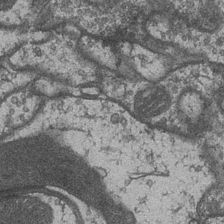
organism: Drosophila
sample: Optic medulla